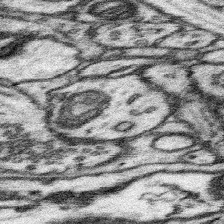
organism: Mouse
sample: Somatosensory cortex neuropil